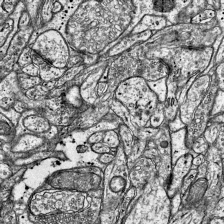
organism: Mouse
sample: Visual Cortex